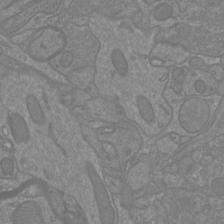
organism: Mouse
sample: Cortical neurons